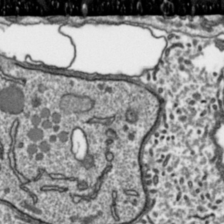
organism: Toxoplasma gondii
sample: Parasites in a vacuole inside a host cell